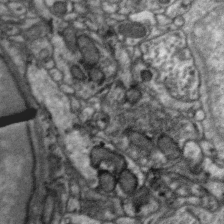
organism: Zebra finch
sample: Brain